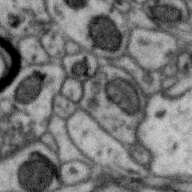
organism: Zebra finch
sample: Brain